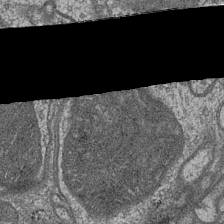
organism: Drosophila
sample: Optic medulla